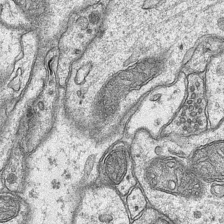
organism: Mouse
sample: CA1 Hippocampus